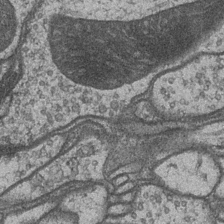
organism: Drosophila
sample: Optic medulla